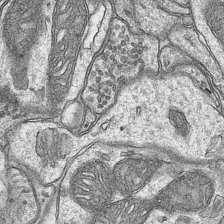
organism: Mouse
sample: CA1 Hippocampus